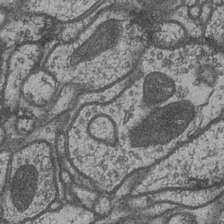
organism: Drosophila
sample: Optic medulla